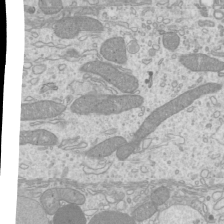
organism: Mouse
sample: Cilia; mouse epididymis